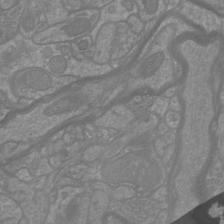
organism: Mouse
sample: Cortical neurons